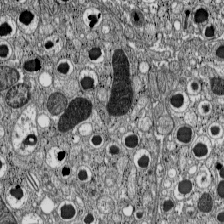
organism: C57BL Mouse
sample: Pancreatic islet